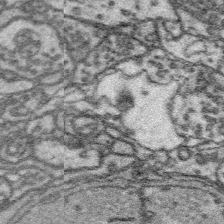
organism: Platynereis dumerilii